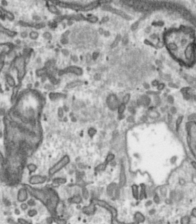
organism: Toxoplasma gondii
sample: Parasites in a vacuole inside a host cell